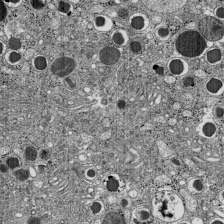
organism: C57BL Mouse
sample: Pancreatic islet